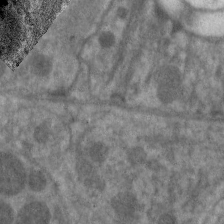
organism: C. elegans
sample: Pharynx